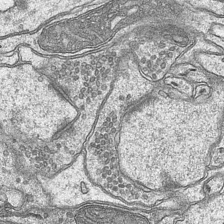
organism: Mouse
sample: CA1 Hippocampus